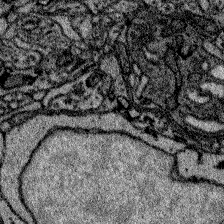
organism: Zebrafish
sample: Larval olfactory bulb